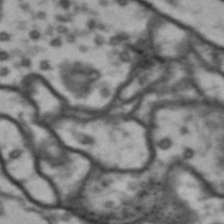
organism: Drosophila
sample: Brain